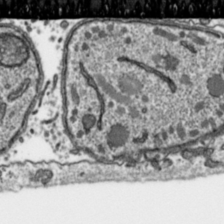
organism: Toxoplasma gondii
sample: Parasites in a vacuole inside a host cell